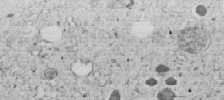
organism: C. elegans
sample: C. elegans embryo early stage